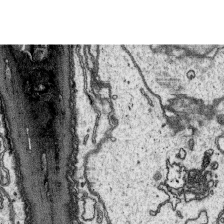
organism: Platynereis dumerilii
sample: Parapodia